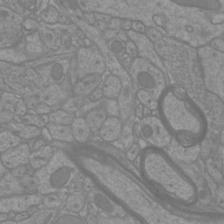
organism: Mouse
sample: Cortical neurons